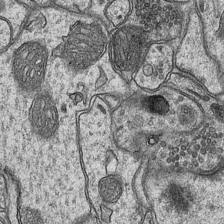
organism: Mouse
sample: CA1 Hippocampus